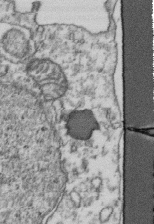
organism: Human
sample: Activated Jurkat CD4+ T cells